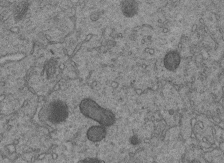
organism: C. elegans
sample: C. elegans embryo early stage